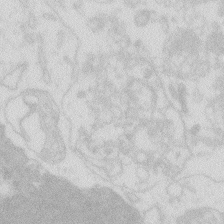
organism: Zebrafish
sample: Macrophage